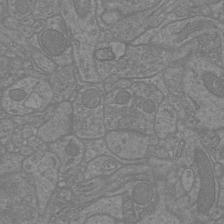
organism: Mouse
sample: Cortical neurons